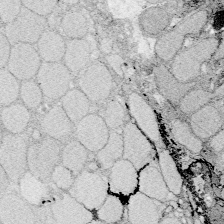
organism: Zebrafish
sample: Whole-Brain